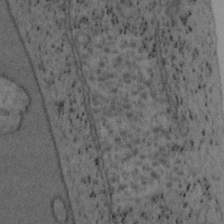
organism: Human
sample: HeLa cells